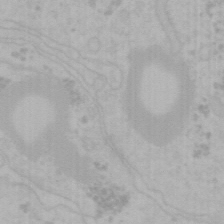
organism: Mouse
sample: Choroid plexus